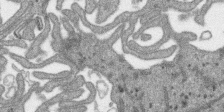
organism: Human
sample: Lung epithelial cells infected with SARS-CoV-2